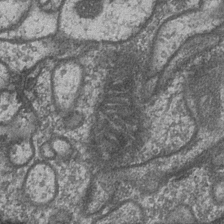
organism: Drosophila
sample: Optic medulla